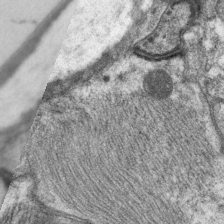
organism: C. elegans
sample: Pharynx